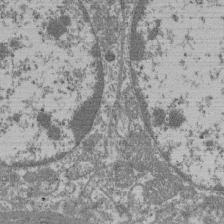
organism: Mouse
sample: Glomerulus